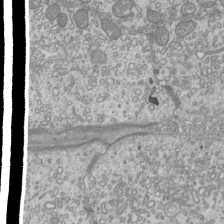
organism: Mouse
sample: Cilia; mouse epididymis